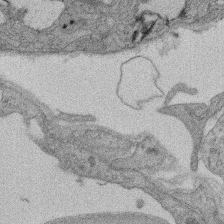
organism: Rat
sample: Salivary granule